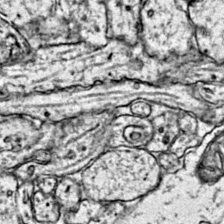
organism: Mouse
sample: Primary visual cortex